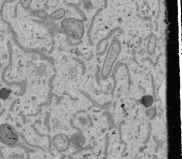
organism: Human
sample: Mitochondria in U2OS cells